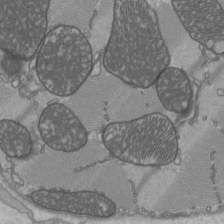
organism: C57BL Mouse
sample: Heart